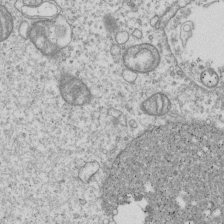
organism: Human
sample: MDA-MB-231 cells